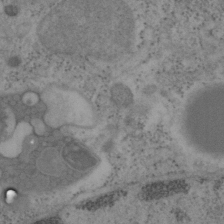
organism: Mouse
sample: OT-I killer T cells with ID8 ovarian cancer cells